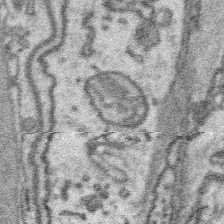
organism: Platynereis dumerilii